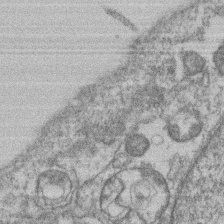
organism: Mouse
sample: T cell stromal cell synapse